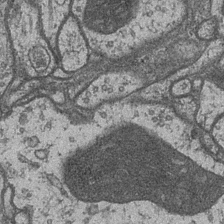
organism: Drosophila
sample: Optic medulla